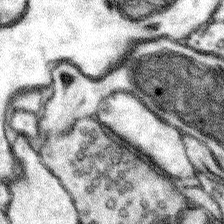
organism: Mouse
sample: Somatosensory cortex neuropil